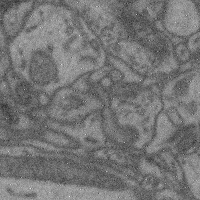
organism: Mouse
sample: Cerebral cortex